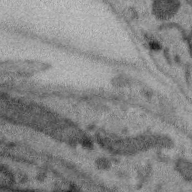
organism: Zebra finch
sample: Brain